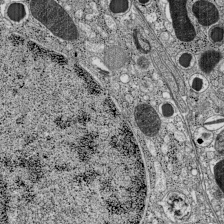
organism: C57BL Mouse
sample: Pancreatic islet